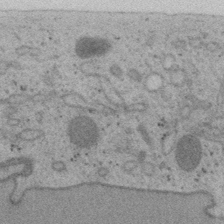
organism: Human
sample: HeLa cells